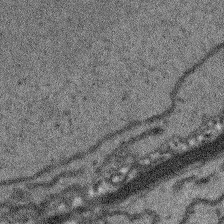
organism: Arabidopsis thaliana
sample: Root tip